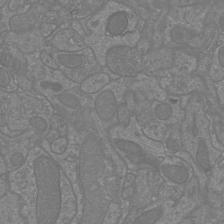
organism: Mouse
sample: Cortical neurons